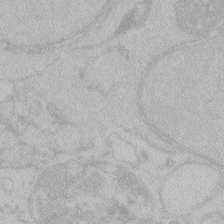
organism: Zebrafish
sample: Macrophage infected with Toxoplasma gondii